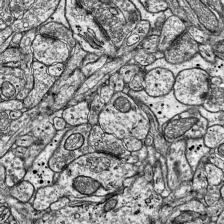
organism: Mouse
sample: Visual Cortex